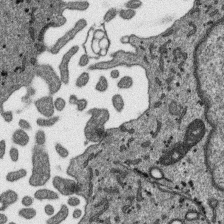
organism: Human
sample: Lung epithelial cells infected with SARS-CoV-2